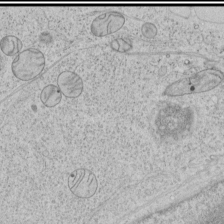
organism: Human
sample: Mitochondria in HCT116 cells